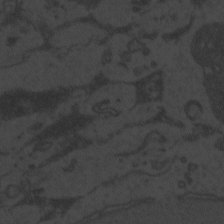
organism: Zebrafish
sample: Macrophage infected with Toxoplasma gondii